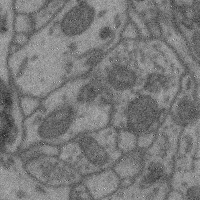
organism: Mouse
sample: Cerebral cortex